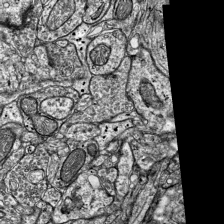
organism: Mouse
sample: Visual Cortex